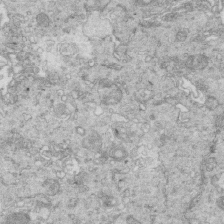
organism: Mouse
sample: Multiciliated cells